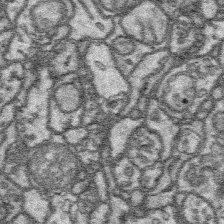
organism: Platynereis dumerilii